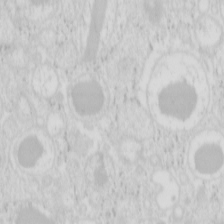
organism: Mouse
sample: Pancreas